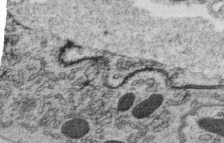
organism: C. elegans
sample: C. elegans oocyte; sperm cells